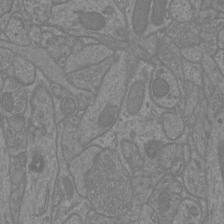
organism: Mouse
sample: Cortical neurons